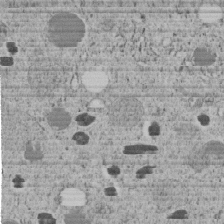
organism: C. elegans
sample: C. elegans embryo early stage